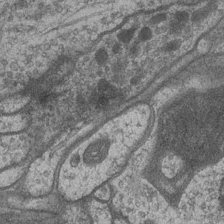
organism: Drosophila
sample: Optic medulla